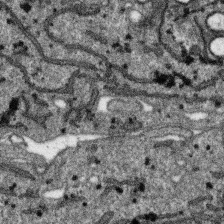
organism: Human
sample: Lung epithelial cells infected with SARS-CoV-2